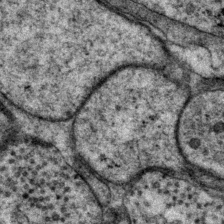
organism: P. pacificus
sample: Pharynx